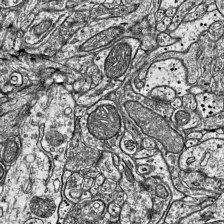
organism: Mouse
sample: Visual Cortex